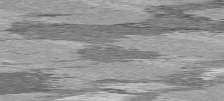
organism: C57BL Mouse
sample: Heart